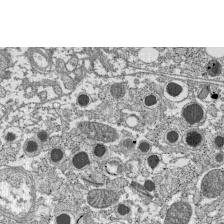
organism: C57BL Mouse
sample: Pancreatic islet